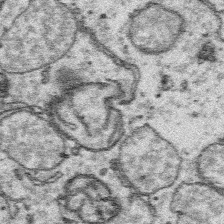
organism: Platynereis dumerilii